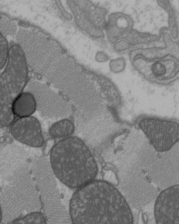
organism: C57BL Mouse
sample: Heart